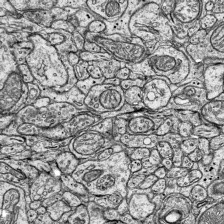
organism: Mouse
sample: Visual Cortex